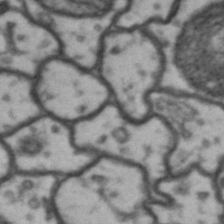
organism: Drosophila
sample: Brain